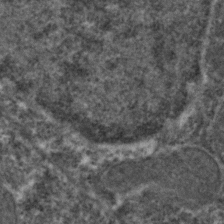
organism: Zebrafish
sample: Zebrafish embryo